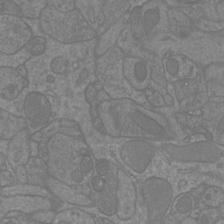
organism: Mouse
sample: Cortical neurons